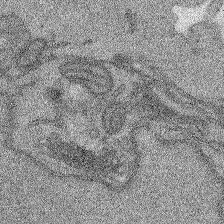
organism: Human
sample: HeLa cells